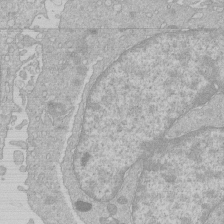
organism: Human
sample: Macrophage cells